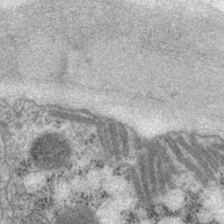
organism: P. pacificus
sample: Pharynx